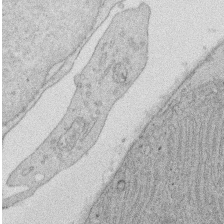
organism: Rat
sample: Salivary granule